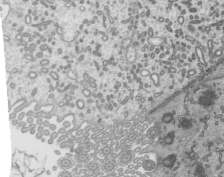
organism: Mouse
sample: Mouse epididymis efferent ductule cilia